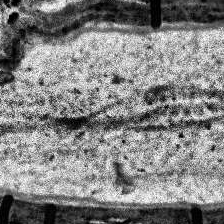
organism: Human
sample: Temporal Lobe